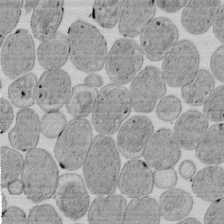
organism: E. coli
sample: Bacterial nucleoid